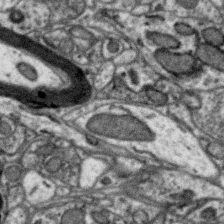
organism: Zebra finch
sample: Brain